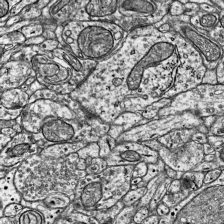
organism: Mouse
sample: Visual Cortex